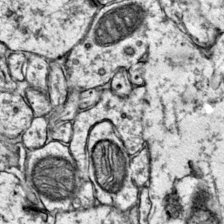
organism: Mouse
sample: Primary visual cortex